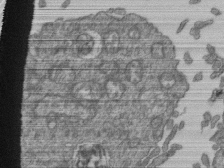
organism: Human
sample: Retinal organoid Rod and Cone cells